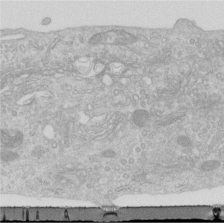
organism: Human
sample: Centriole in RPE cells